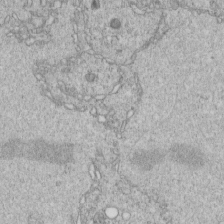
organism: C. elegans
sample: C. elegans embryo early stage